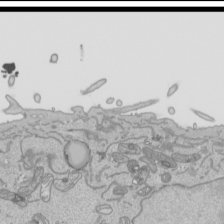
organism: Human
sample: Mitochondria in HCT116 cells